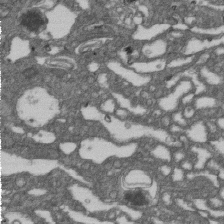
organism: Drosophila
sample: Nephrocyte